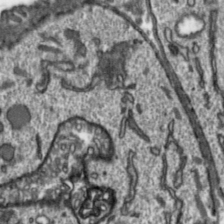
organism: Toxoplasma gondii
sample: Parasites in a vacuole inside a host cell